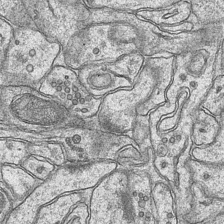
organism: Mouse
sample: CA1 Hippocampus